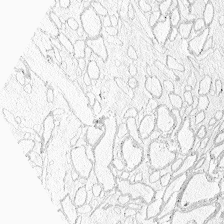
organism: Zebrafish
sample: Whole-Brain